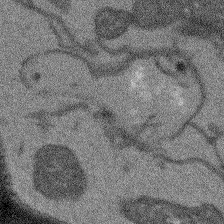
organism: Arabidopsis thaliana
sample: Root tip